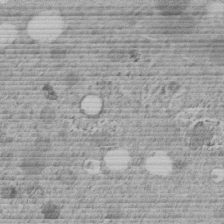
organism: C. elegans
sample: C. elegans embryo early stage